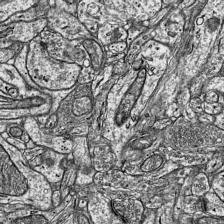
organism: Mouse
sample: Visual Cortex